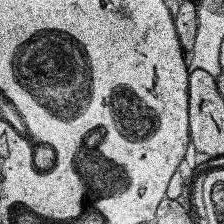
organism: Human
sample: Temporal Lobe